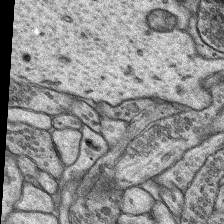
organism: Rat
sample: Hippocampus